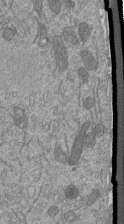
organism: Mouse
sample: ED-1 cell nuclei; centrioles